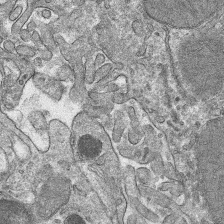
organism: Mouse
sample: Mouse hepatocytes